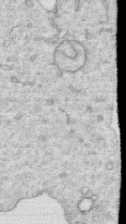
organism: Human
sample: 1205lu cells